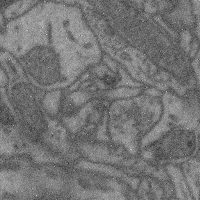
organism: Mouse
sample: Cerebral cortex